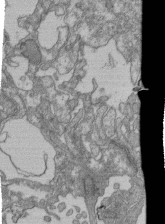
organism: Human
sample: Retinal organoid Rod and Cone cells